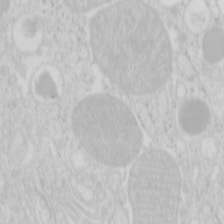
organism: Mouse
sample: Pancreas